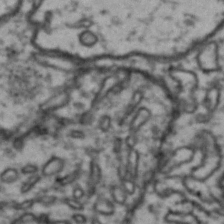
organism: Drosophila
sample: Brain